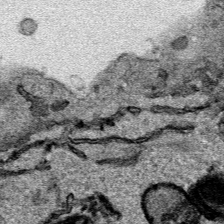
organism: Human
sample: Mitochondria in HCT116 cells